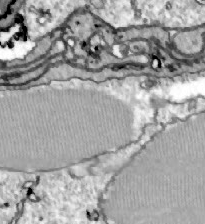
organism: Zebrafish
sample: Actinotrichia fibers